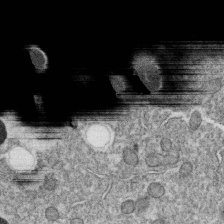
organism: C. elegans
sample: C. elegans oocyte; sperm cells